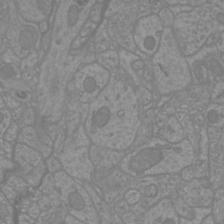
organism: Mouse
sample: Cortical neurons